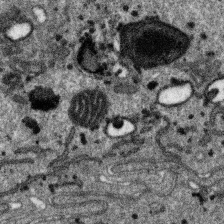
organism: Human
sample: Lung epithelial cells infected with SARS-CoV-2